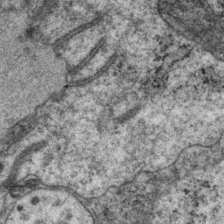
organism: P. pacificus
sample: Pharynx